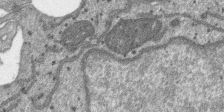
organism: Human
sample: Lung epithelial cells infected with SARS-CoV-2